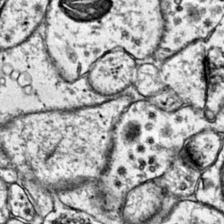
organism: Mouse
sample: Primary visual cortex